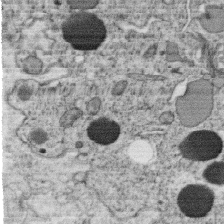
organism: C. elegans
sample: C. elegans oocyte; sperm cells